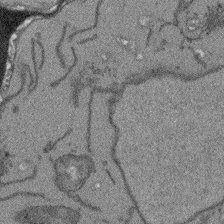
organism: Arabidopsis thaliana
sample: Root tip